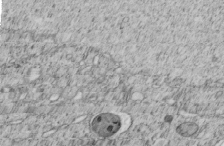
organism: C. elegans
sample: C. elegans embryo early stage